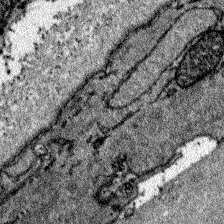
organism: Zebrafish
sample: Larval olfactory bulb